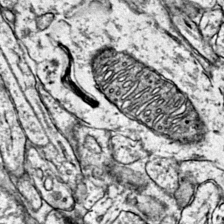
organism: Mouse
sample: Primary visual cortex